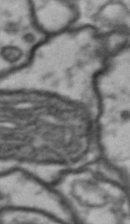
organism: Drosophila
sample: Brain